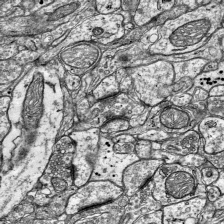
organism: Mouse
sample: Visual Cortex